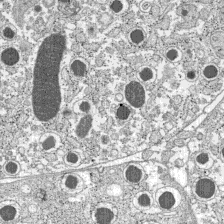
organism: C57BL Mouse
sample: Pancreatic islet